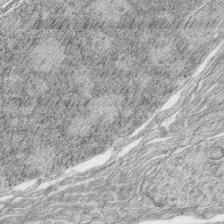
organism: Zebrafish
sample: synaptic ribbons in rod cells and cone cells